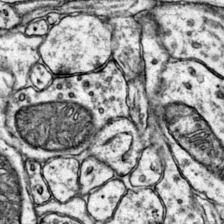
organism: Mouse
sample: Primary visual cortex